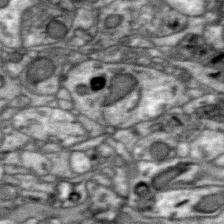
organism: Zebra finch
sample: Brain